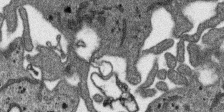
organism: Human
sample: Lung epithelial cells infected with SARS-CoV-2